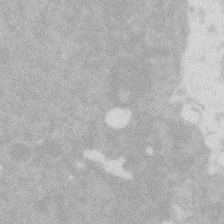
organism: Zebrafish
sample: Macrophage